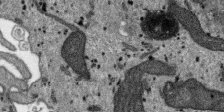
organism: Human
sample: Lung epithelial cells, uninfected (mock) control